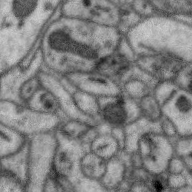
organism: Zebra finch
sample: Brain